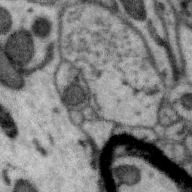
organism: Zebra finch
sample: Brain